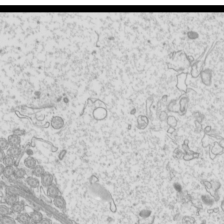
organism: Mouse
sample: Cilia; mouse epididymis